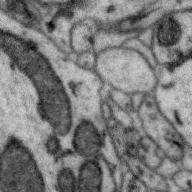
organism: Zebra finch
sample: Brain